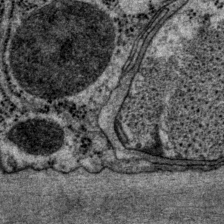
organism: P. pacificus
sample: Pharynx